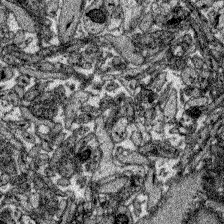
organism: Zebrafish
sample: Larval olfactory bulb